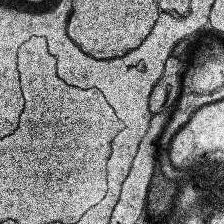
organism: Human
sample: Temporal Lobe